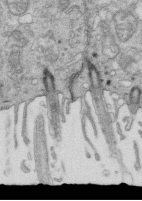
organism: Mouse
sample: Multiciliated cells